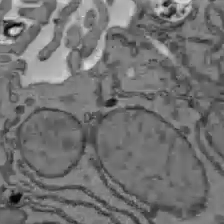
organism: C57BL Mouse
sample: Liver